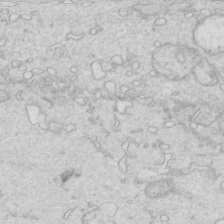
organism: Mouse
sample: Multiciliated cells